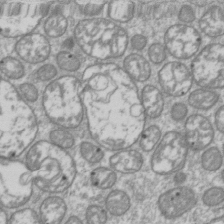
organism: Drosophila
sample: Cell division; meiosis; drosophila spermatocytes